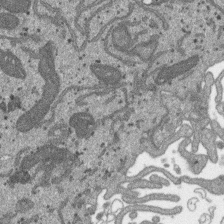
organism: Human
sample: Lung epithelial cells infected with SARS-CoV-2